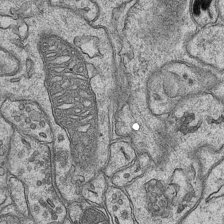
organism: Mouse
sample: CA1 Hippocampus